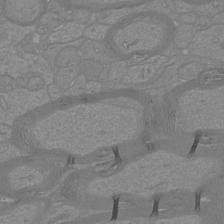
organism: Mouse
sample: Cortical neurons